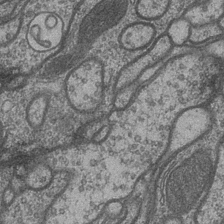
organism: Drosophila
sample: Optic medulla